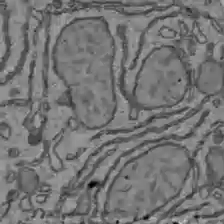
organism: C57BL Mouse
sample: Liver